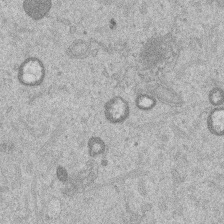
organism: Mouse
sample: Dividing mouse embryo 1 cell stage